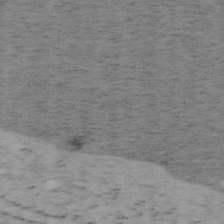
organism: Mouse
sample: OT-I killer T cells with ID8 ovarian cancer cells